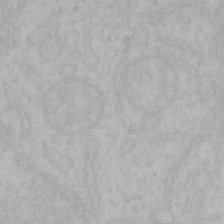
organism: Mouse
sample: Choroid plexus